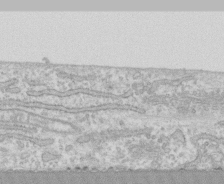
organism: Human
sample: CRL-1474